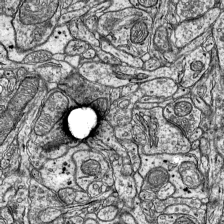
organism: Mouse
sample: Visual Cortex